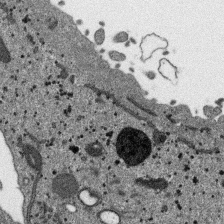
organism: Human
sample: Lung epithelial cells infected with SARS-CoV-2